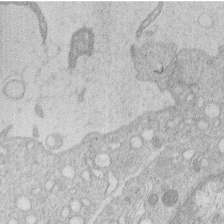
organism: Human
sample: Macrophage cells